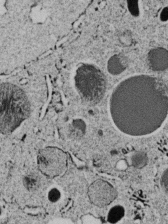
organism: C. elegans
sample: C. elegans embryo early stage